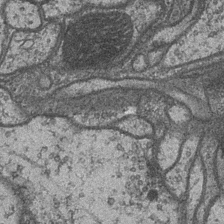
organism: Drosophila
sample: Optic medulla